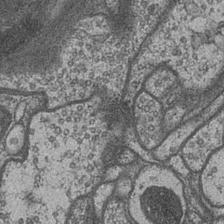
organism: Drosophila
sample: Optic medulla